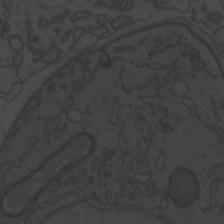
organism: Zebrafish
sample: Macrophage infected with Toxoplasma gondii